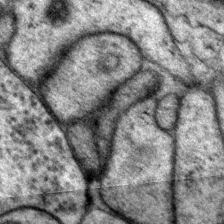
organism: P. pacificus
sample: Pharynx